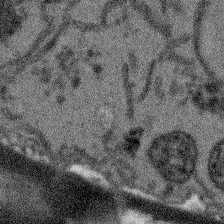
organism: Arabidopsis thaliana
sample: Root tip